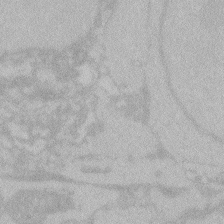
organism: Zebrafish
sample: Macrophage infected with Toxoplasma gondii